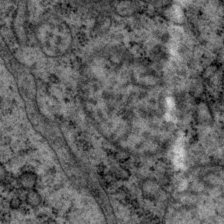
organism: P. pacificus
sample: Pharynx